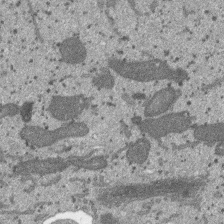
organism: Human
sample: Lung epithelial cells infected with SARS-CoV-2